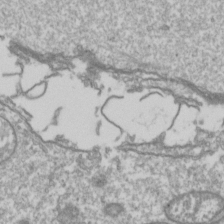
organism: Drosophila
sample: Cell division; meiosis; drosophila spermatocytes